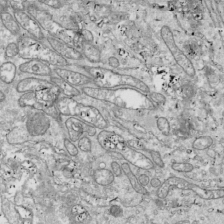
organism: Drosophila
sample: Cell division; meiosis; drosophila spermatocytes